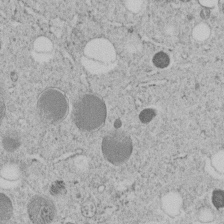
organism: C. elegans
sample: C. elegans embryo early stage